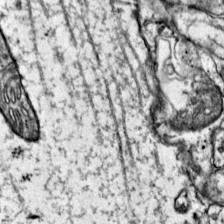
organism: Mouse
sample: Primary visual cortex